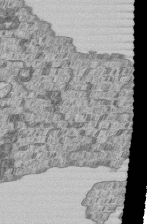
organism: Human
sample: MDA-MB-231 cells